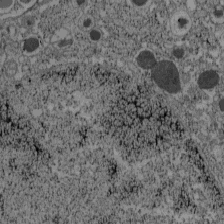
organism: C57BL Mouse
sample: Pancreatic islet